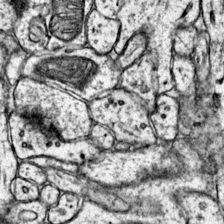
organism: Mouse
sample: Primary visual cortex